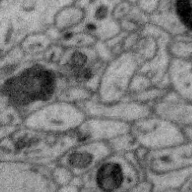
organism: Zebra finch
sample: Brain